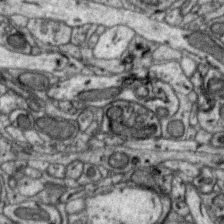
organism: Zebra finch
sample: Brain